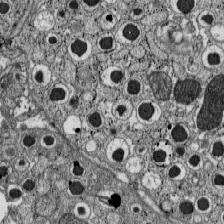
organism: C57BL Mouse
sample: Pancreatic islet